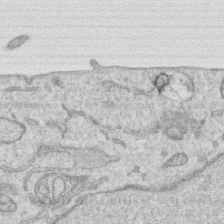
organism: Human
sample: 1205lu cells